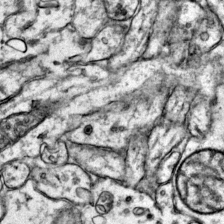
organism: Mouse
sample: Primary visual cortex